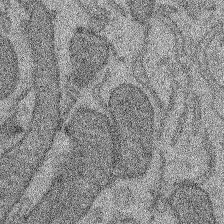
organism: Human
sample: HeLa cells